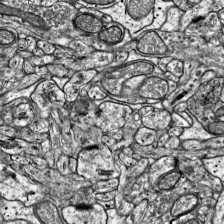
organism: Mouse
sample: Visual Cortex